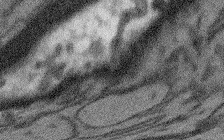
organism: Arabidopsis thaliana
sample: Root tip